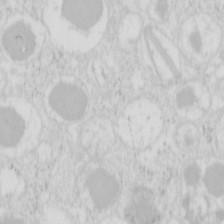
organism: Mouse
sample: Pancreas